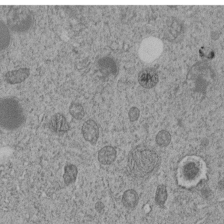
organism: C. elegans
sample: C. elegans embryo early stage